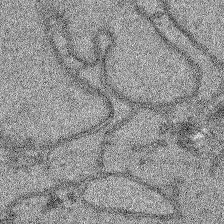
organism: Human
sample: HeLa cells